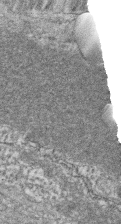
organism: Zebrafish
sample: Cilia; retinal pigment epithelium